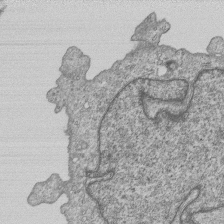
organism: Human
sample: MDA-MB-231 cells